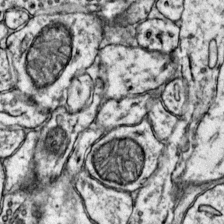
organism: Mouse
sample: Primary visual cortex